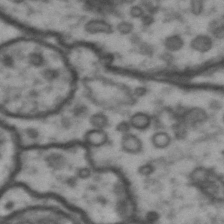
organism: Drosophila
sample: Brain